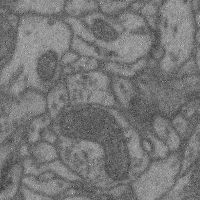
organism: Mouse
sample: Cerebral cortex